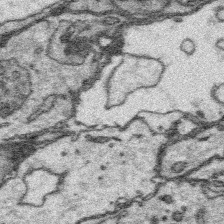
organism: Platynereis dumerilii